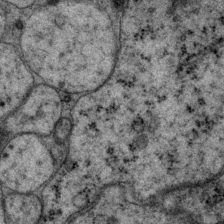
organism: P. pacificus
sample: Pharynx